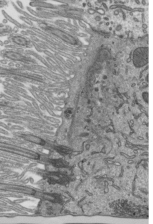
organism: Mouse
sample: Mouse epididymis efferent ductule cilia